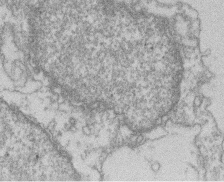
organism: Mouse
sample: T cell stromal cell synapse